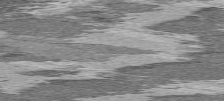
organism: C57BL Mouse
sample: Heart